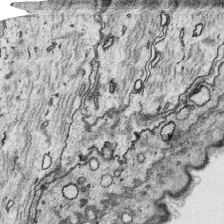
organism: Platynereis dumerilii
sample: Parapodia